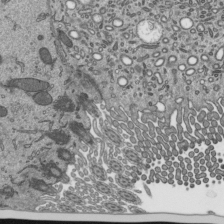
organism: Mouse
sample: Mouse epididymis efferent ductule cilia